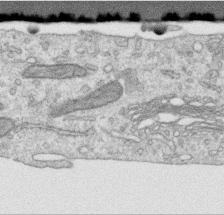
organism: Human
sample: Centriole in RPE cells